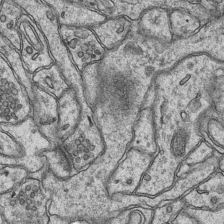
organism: Mouse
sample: CA1 Hippocampus